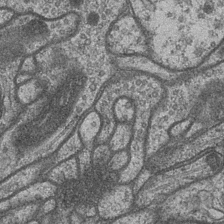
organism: Drosophila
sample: Optic medulla